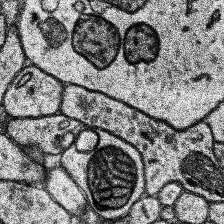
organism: Human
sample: Temporal Lobe